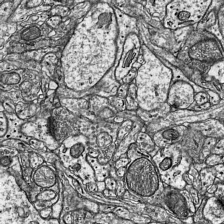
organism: Mouse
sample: Visual Cortex